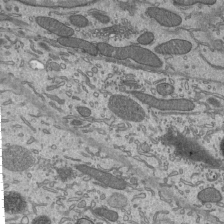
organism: Mouse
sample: Mouse epididymis efferent ductule cilia